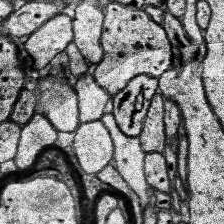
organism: Human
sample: Temporal Lobe